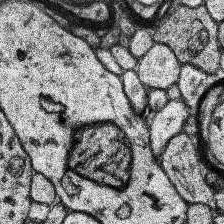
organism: Human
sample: Temporal Lobe